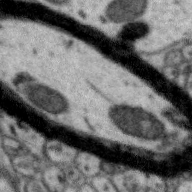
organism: Zebra finch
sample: Brain